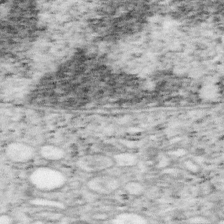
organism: Mouse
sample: OT-I killer T cells with ID8 ovarian cancer cells